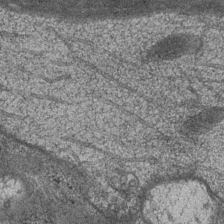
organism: Drosophila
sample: Optic medulla